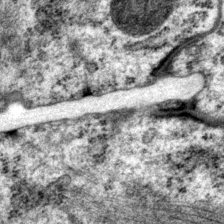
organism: P. pacificus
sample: Pharynx